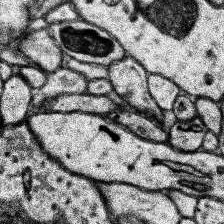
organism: Human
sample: Temporal Lobe